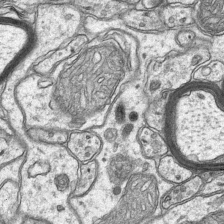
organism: Mouse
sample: CA1 Hippocampus